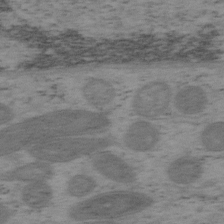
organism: Mouse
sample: OT-I killer T cells with ID8 ovarian cancer cells